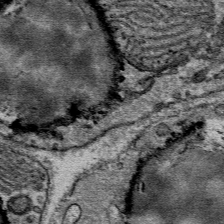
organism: Mouse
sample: Mouse Salivary gland